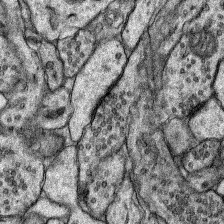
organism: Rat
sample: Hippocampus